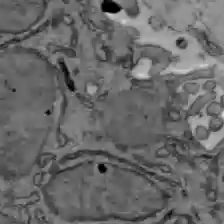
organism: C57BL Mouse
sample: Liver